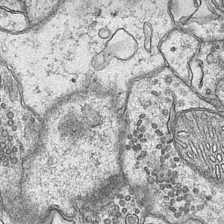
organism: Mouse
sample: CA1 Hippocampus